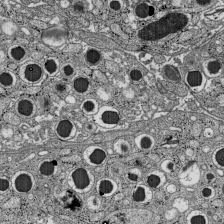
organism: C57BL Mouse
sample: Pancreatic islet